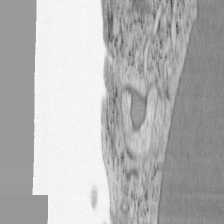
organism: Human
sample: HeLa cells